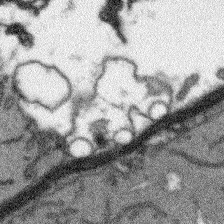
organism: Arabidopsis thaliana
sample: Root tip